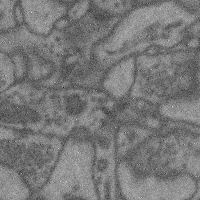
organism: Mouse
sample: Cerebral cortex